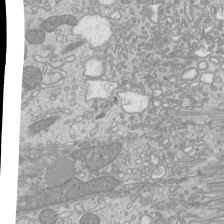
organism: Mouse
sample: Cilia; mouse epididymis